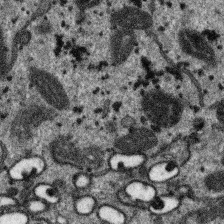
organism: Human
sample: Lung epithelial cells infected with SARS-CoV-2